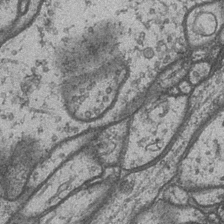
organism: Drosophila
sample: Optic medulla